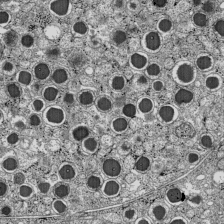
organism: C57BL Mouse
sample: Pancreatic islet